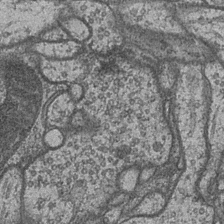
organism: Drosophila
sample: Optic medulla